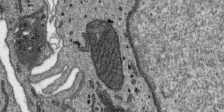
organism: Human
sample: Lung epithelial cells, uninfected (mock) control